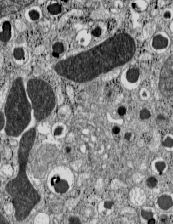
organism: C57BL Mouse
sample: Pancreatic islet